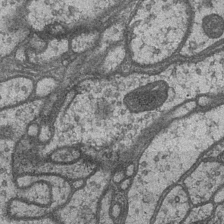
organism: Drosophila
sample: Optic medulla